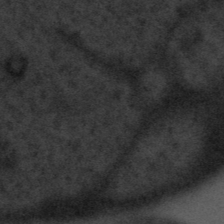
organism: Tuwongella immobilis